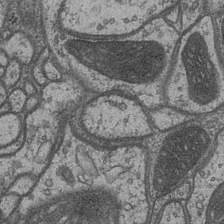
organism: Drosophila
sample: Optic medulla